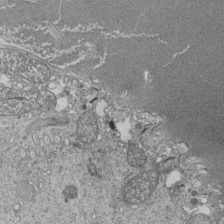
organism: Tetrahymena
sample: Cilia in tetrahymena